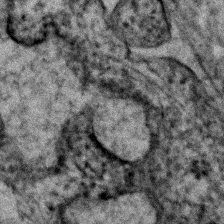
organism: Human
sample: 1205lu cells